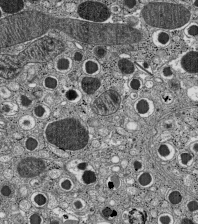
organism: C57BL Mouse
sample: Pancreatic islet